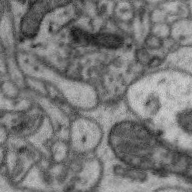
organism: Zebra finch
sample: Brain